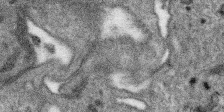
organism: Human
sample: Lung epithelial cells infected with SARS-CoV-2